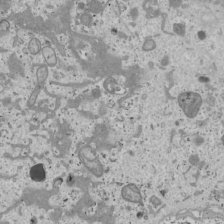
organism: Human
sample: Mitochondria in U2OS cells